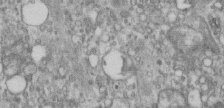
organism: Human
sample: Centriole in RPE cells